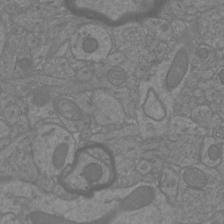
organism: Mouse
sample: Cortical neurons